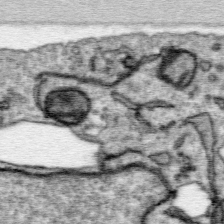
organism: Human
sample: HeLa cells